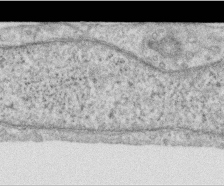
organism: Human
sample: Centriole in RPE cells